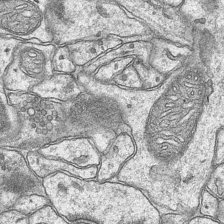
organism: Mouse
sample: CA1 Hippocampus